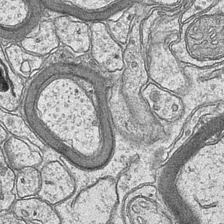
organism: Mouse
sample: CA1 Hippocampus